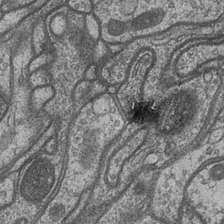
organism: Drosophila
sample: Optic medulla